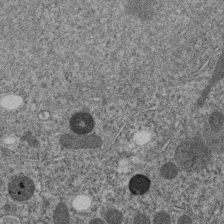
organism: C. elegans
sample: C. elegans embryo early stage